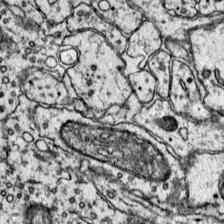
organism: Mouse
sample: Primary visual cortex